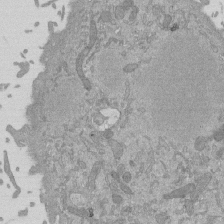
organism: Mouse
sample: ED-1 cell nuclei; centrioles